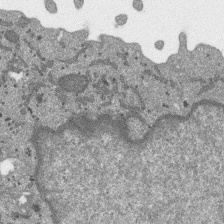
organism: Human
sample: Lung epithelial cells infected with SARS-CoV-2